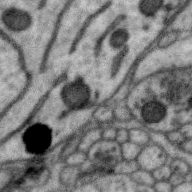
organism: Zebra finch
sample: Brain